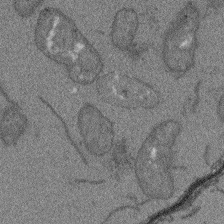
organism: Arabidopsis thaliana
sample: Root tip